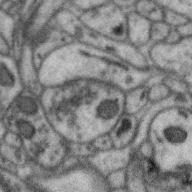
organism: Zebra finch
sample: Brain